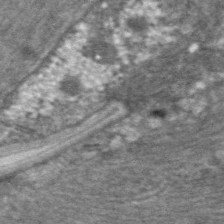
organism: C. elegans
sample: Pharynx